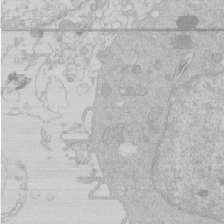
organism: Human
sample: Macrophage cells